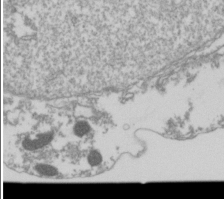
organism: Drosophila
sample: Cell division; meiosis; drosophila spermatocytes